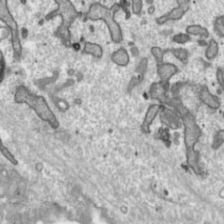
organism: Toxoplasma gondii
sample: Parasites in a vacuole inside a host cell